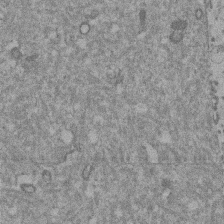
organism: Mouse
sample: Dividing mouse embryo 1 cell stage